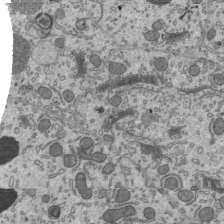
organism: Mouse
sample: Mouse epididymis efferent ductule cilia